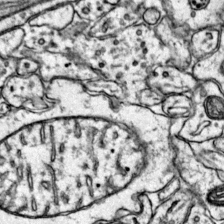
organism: Mouse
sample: Primary visual cortex